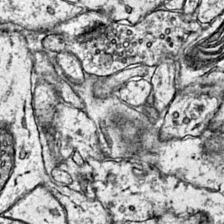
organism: Mouse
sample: Primary visual cortex